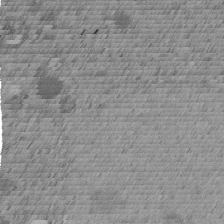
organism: C. elegans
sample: C. elegans embryo early stage